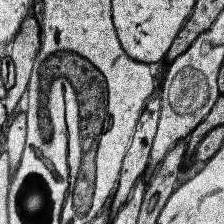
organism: Human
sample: Temporal Lobe